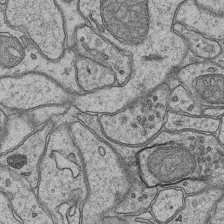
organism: Mouse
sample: CA1 Hippocampus